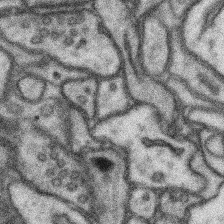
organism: Mouse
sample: Somatosensory cortex neuropil